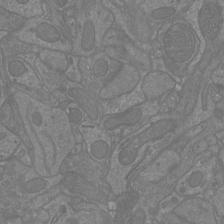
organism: Mouse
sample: Cortical neurons